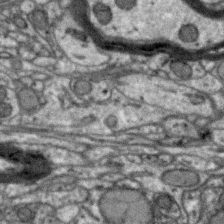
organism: Zebra finch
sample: Brain